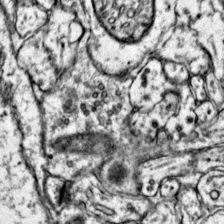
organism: Mouse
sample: Primary visual cortex